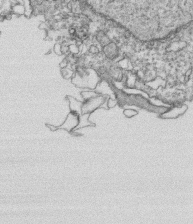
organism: Human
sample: HeLa cell HIV synapse